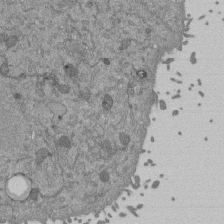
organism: Mouse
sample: ED-1 cell nuclei; centrioles